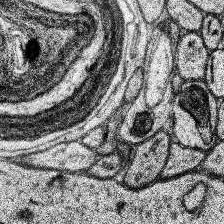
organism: Human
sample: Temporal Lobe